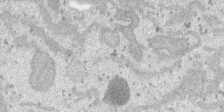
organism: Human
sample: Lung epithelial cells infected with SARS-CoV-2